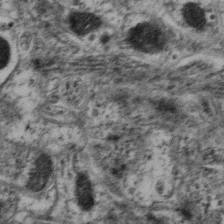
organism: Mouse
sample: Neocortex